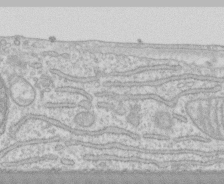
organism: Human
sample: CRL-1474